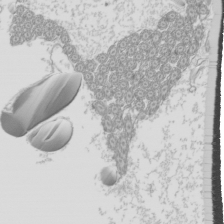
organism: Mouse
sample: Cilia; mouse epididymis